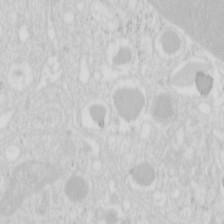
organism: Mouse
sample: Pancreas